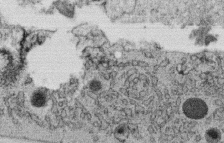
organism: C. elegans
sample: C. elegans oocyte; sperm cells